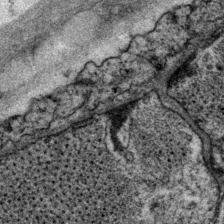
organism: P. pacificus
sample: Pharynx